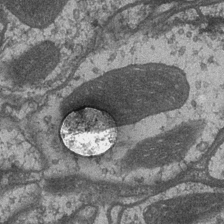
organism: Drosophila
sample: Optic medulla